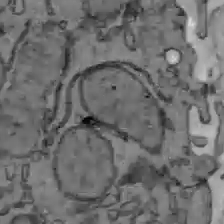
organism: C57BL Mouse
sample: Liver